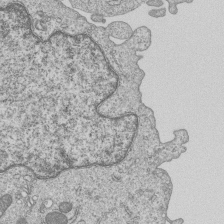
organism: Human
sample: MDA-MB-231 cells